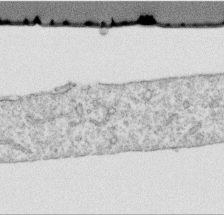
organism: Human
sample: Centriole in RPE cells